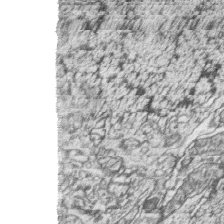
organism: Zebrafish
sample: synaptic ribbons in rod cells and cone cells